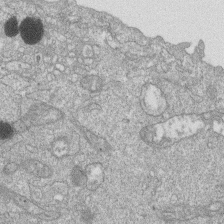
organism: Human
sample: HeLa cell HIV synapse